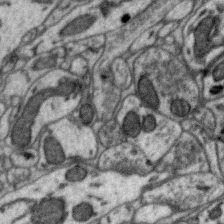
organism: Zebra finch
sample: Brain